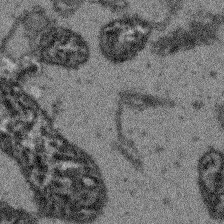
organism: Arabidopsis thaliana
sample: Root tip